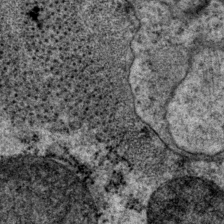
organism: P. pacificus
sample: Pharynx